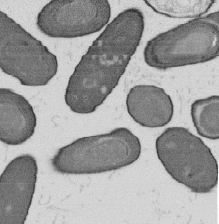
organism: B. subtilis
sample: Bacterial spore